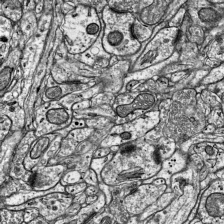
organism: Mouse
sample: Visual Cortex